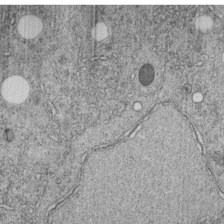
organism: C. elegans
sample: C. elegans embryo early stage